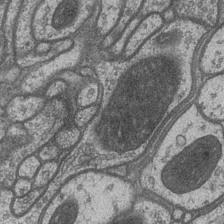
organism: Drosophila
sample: Optic medulla